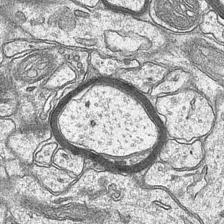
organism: Mouse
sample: CA1 Hippocampus